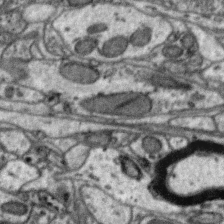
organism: Zebra finch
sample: Brain